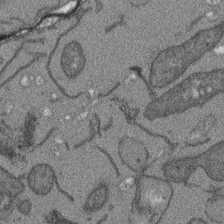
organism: Arabidopsis thaliana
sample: Root tip